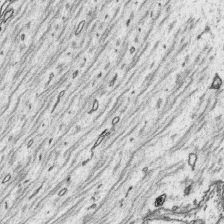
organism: Platynereis dumerilii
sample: Parapodia